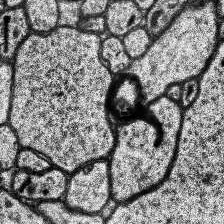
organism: Human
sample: Temporal Lobe